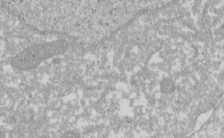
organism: Xenopus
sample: Cilia; centrioles in frog embryo cells